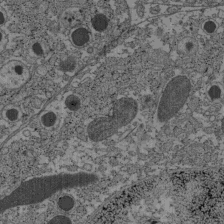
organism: C57BL Mouse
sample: Pancreatic islet